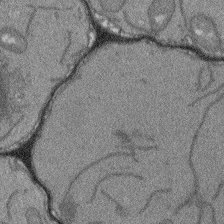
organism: Arabidopsis thaliana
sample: Root tip